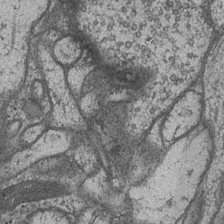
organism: Drosophila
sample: Optic medulla